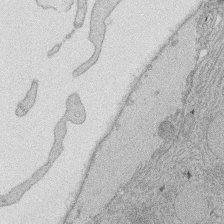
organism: Rat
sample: Salivary granule